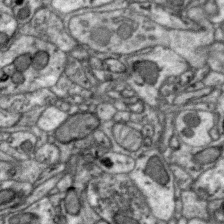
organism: Zebra finch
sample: Brain